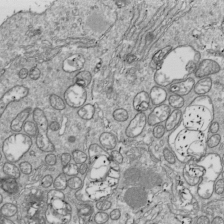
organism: Drosophila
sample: Cell division; meiosis; drosophila spermatocytes